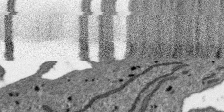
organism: Human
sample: Lung epithelial cells, uninfected (mock) control